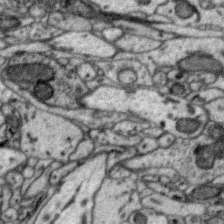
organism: Zebra finch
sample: Brain